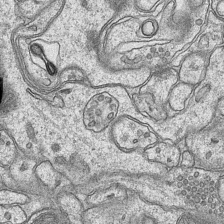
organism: Mouse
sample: CA1 Hippocampus